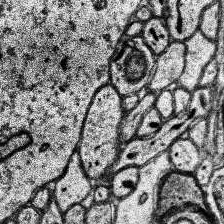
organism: Human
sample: Temporal Lobe